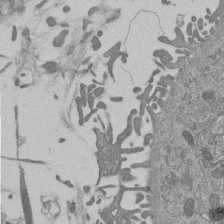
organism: Mouse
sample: ED-1 cell nuclei; centrioles